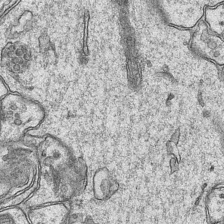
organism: Mouse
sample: CA1 Hippocampus